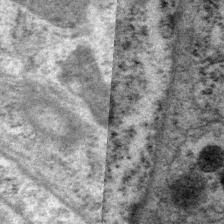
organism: P. pacificus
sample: Pharynx